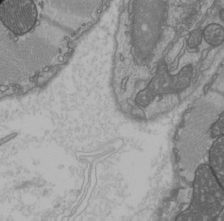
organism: C57BL Mouse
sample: Heart